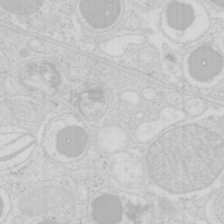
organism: Mouse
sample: Pancreas